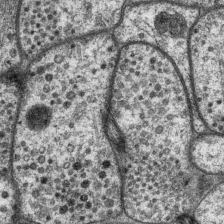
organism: P. pacificus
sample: Pharynx